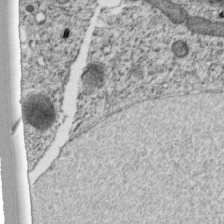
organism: C. elegans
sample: C. elegans embryo early stage